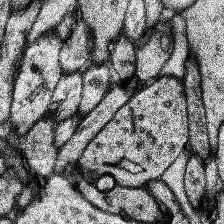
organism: Human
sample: Temporal Lobe